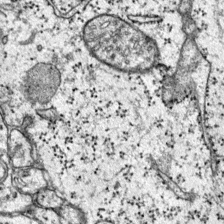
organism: Mouse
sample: Primary visual cortex